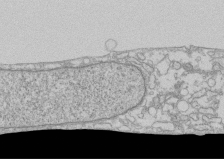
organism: Human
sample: CRL-1474